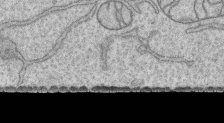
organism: Human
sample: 1205lu cells